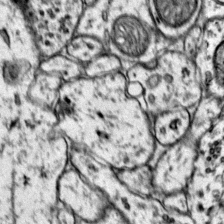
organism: Mouse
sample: Primary visual cortex